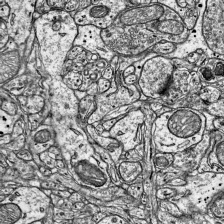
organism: Mouse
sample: Visual Cortex